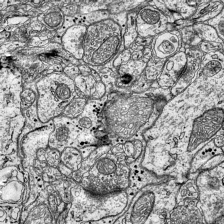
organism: Mouse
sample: Visual Cortex